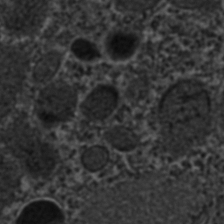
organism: C. elegans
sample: C. elegans embryo